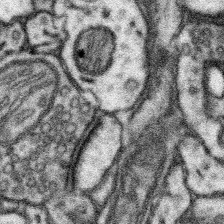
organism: Mouse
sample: Somatosensory cortex neuropil